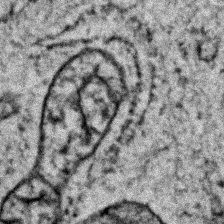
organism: Zebrafish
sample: Zebrafish embryo